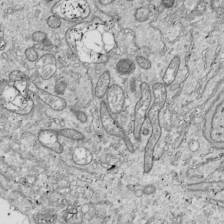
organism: Drosophila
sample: Cell division; meiosis; drosophila spermatocytes